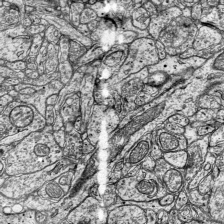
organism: Mouse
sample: Visual Cortex